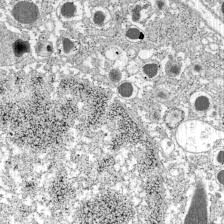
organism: C57BL Mouse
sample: Pancreatic islet